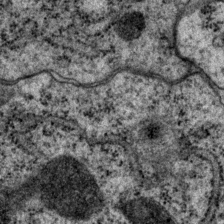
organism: P. pacificus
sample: Pharynx